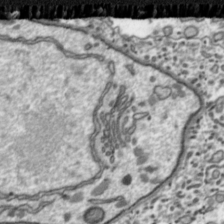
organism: Toxoplasma gondii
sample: Parasites in a vacuole inside a host cell